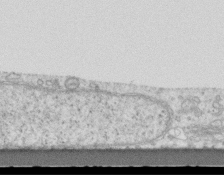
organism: Mouse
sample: Centriole in ependymal cells